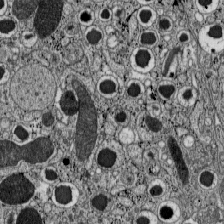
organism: C57BL Mouse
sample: Pancreatic islet